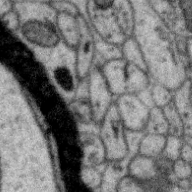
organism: Zebra finch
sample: Brain